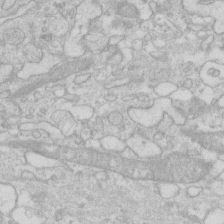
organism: Human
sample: Fibroblast cells